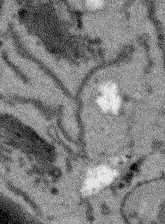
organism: Arabidopsis thaliana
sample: Root tip